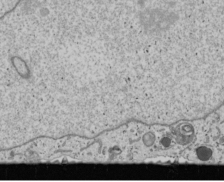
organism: Human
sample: Mitochondria in U2OS cells